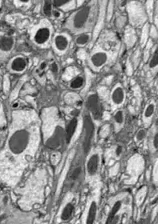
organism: Drosophila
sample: Optic lobe